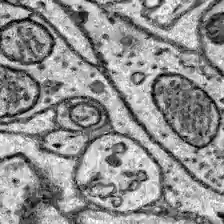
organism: Zebrafish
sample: Brain